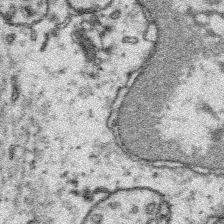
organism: Platynereis dumerilii